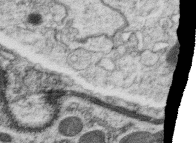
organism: C. elegans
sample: C. elegans oocyte; sperm cells